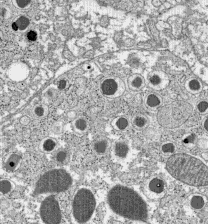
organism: C57BL Mouse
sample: Pancreatic islet